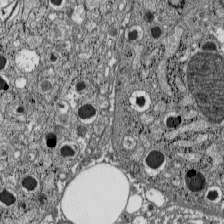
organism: C57BL Mouse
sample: Pancreatic islet